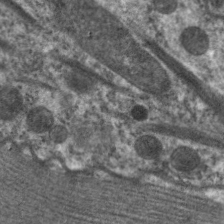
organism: C. elegans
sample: Pharynx